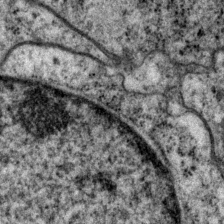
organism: P. pacificus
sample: Pharynx